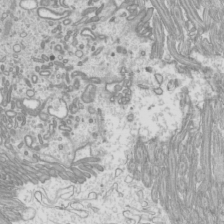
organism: Mouse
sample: Cilia; mouse epididymis